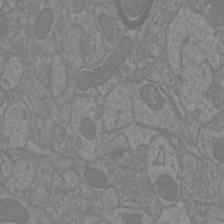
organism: Mouse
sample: Cortical neurons